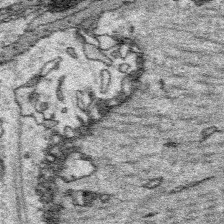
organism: Platynereis dumerilii